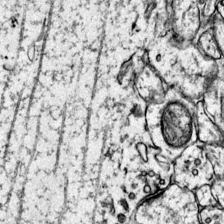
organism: Mouse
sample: Primary visual cortex